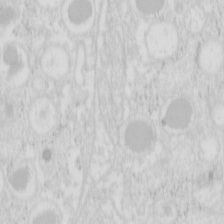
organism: Mouse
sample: Pancreas